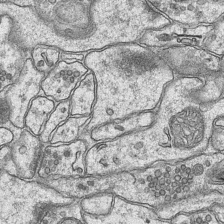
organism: Mouse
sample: CA1 Hippocampus